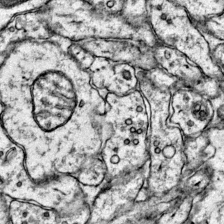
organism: Mouse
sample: Primary visual cortex